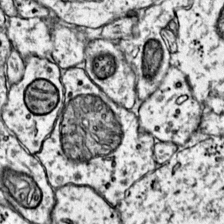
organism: Mouse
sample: Primary visual cortex